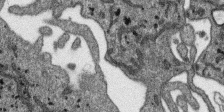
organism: Human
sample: Lung epithelial cells infected with SARS-CoV-2